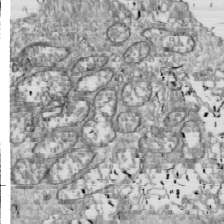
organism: Drosophila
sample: Cell division; meiosis; drosophila spermatocytes